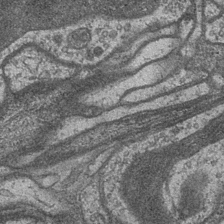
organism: Drosophila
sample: Optic medulla